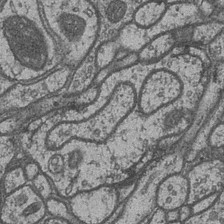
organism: Drosophila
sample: Optic medulla